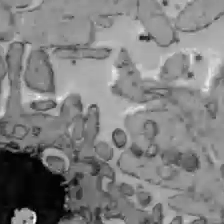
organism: C57BL Mouse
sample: Liver